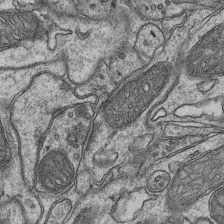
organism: Mouse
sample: CA1 Hippocampus